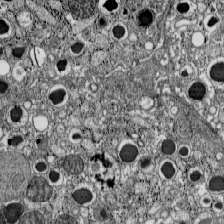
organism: C57BL Mouse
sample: Pancreatic islet